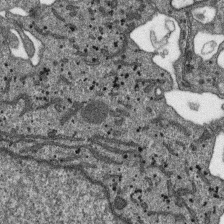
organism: Human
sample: Lung epithelial cells infected with SARS-CoV-2